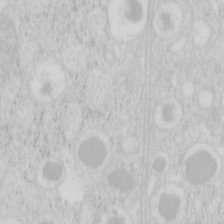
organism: Mouse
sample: Pancreas